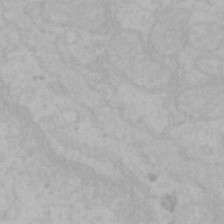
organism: Mouse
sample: Choroid plexus